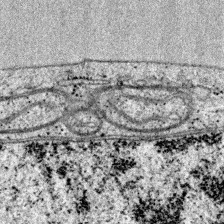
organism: Human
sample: HeLa cells